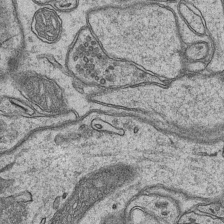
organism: Mouse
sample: CA1 Hippocampus